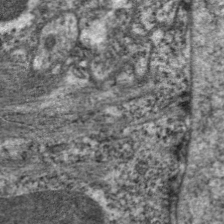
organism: C. elegans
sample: Pharynx